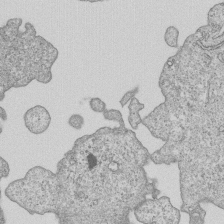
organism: Human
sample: MDA-MB-231 cells